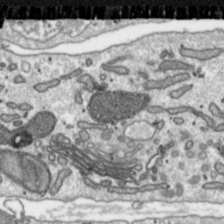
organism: Toxoplasma gondii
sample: Parasites in a vacuole inside a host cell